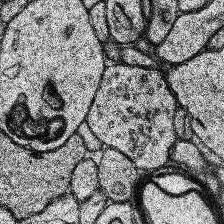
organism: Human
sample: Temporal Lobe